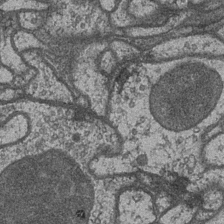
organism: Drosophila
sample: Optic medulla